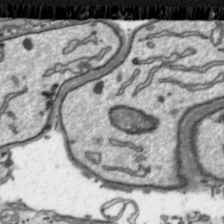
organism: Toxoplasma gondii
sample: Parasites in a vacuole inside a host cell